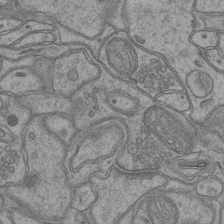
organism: Mouse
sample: CA1 Hippocampus